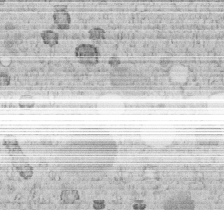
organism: C. elegans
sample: C. elegans embryo early stage